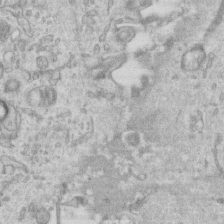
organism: Mouse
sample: Centriole in ependymal cells